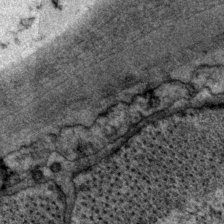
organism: P. pacificus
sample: Pharynx